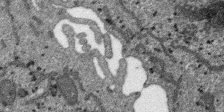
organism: Human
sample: Lung epithelial cells infected with SARS-CoV-2